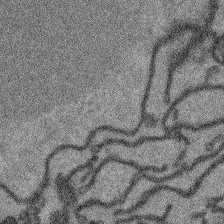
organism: Arabidopsis thaliana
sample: Root tip